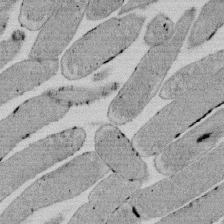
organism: E. coli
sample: Bacterial nucleoid